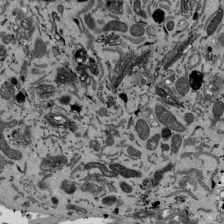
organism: Mouse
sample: ED-1 cell nuclei; centrioles